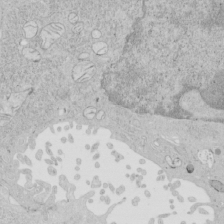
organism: Human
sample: Mitochondria in HCT116 cells